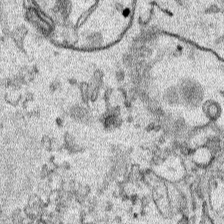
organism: Human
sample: Mitochondria in HCT116 cells